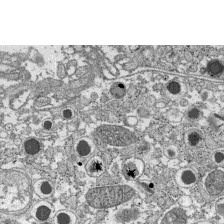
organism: C57BL Mouse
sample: Pancreatic islet